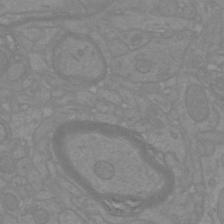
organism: Mouse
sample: Cortical neurons